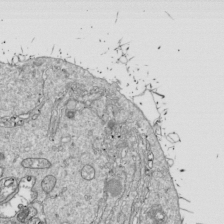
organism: Drosophila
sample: Cell division; meiosis; drosophila spermatocytes